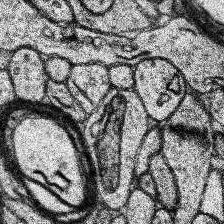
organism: Human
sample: Temporal Lobe